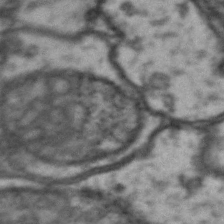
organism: Drosophila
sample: Brain